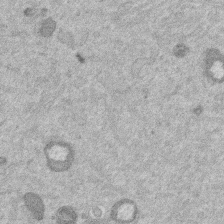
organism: Mouse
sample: Dividing mouse embryo 1 cell stage